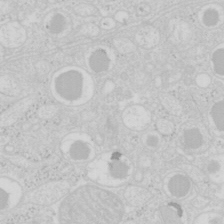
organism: Mouse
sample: Pancreas